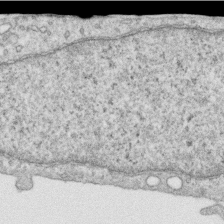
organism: Human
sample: Centriole in RPE cells